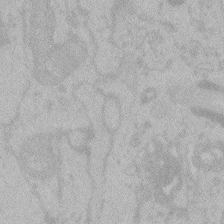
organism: Zebrafish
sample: Macrophage infected with Toxoplasma gondii